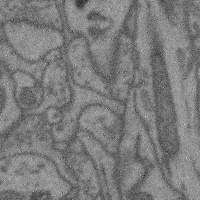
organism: Mouse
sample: Cerebral cortex